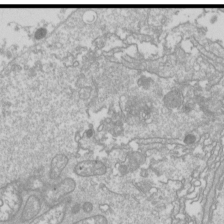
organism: Drosophila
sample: Cell division; meiosis; drosophila spermatocytes